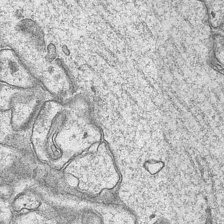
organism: Mouse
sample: CA1 Hippocampus